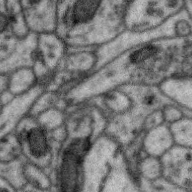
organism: Zebra finch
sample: Brain